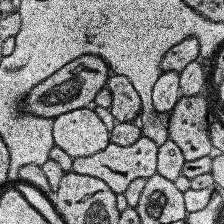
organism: Human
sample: Temporal Lobe